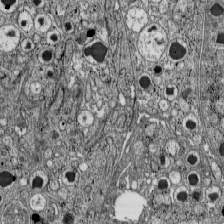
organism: C57BL Mouse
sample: Pancreatic islet